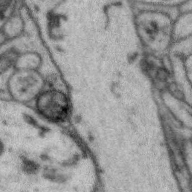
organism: Zebra finch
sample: Brain